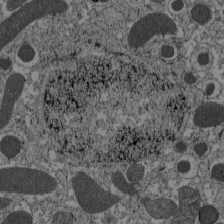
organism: C57BL Mouse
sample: Pancreatic islet